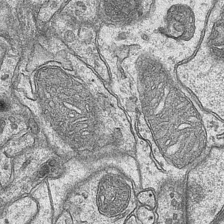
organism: Mouse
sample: CA1 Hippocampus